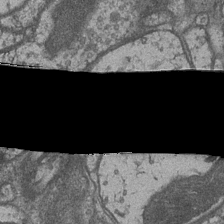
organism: Drosophila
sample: Optic medulla